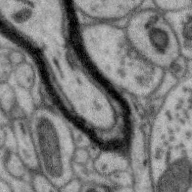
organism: Zebra finch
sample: Brain